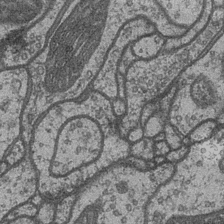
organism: Drosophila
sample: Optic medulla